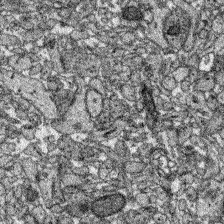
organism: Zebrafish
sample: Larval olfactory bulb